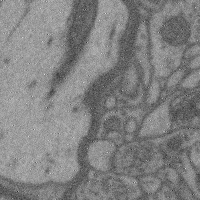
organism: Mouse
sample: Cerebral cortex